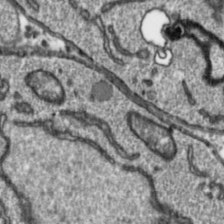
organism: Toxoplasma gondii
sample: Parasites in a vacuole inside a host cell